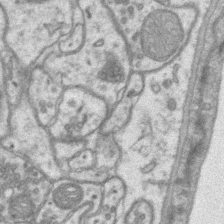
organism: Mouse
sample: CA1 Hippocampus